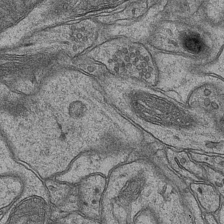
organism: Mouse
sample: CA1 Hippocampus